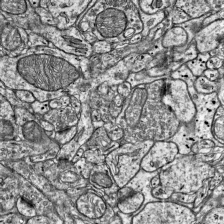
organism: Mouse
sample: Visual Cortex